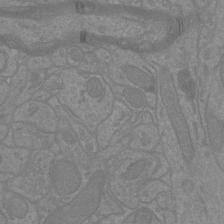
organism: Mouse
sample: Cortical neurons